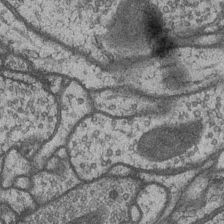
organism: Drosophila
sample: Optic medulla